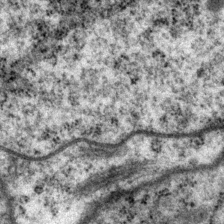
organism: P. pacificus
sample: Pharynx